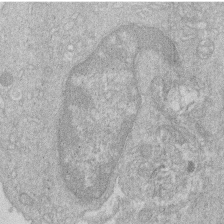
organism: Human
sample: Macrophage cells